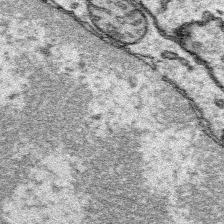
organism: Platynereis dumerilii